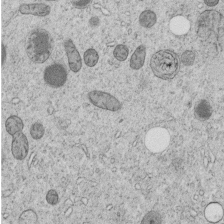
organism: C. elegans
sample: C. elegans embryo early stage